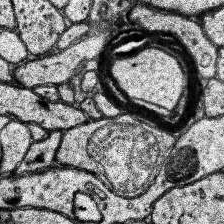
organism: Human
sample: Temporal Lobe